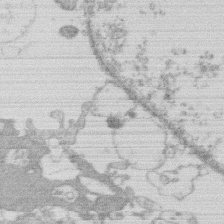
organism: Human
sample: Macrophage cells